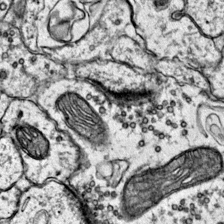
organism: Mouse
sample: Primary visual cortex